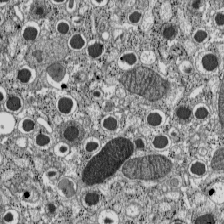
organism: C57BL Mouse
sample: Pancreatic islet